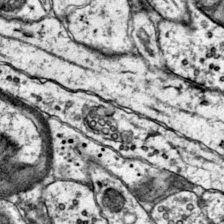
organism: Mouse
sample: Primary visual cortex